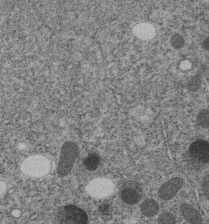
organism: C. elegans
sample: C. elegans embryo early stage